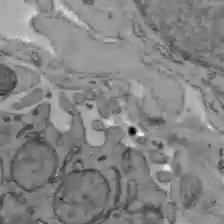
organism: C57BL Mouse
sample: Liver